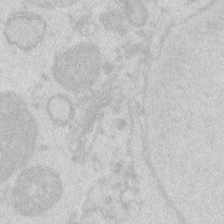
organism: Zebrafish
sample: Macrophage